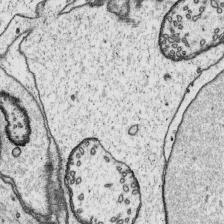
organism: Platynereis dumerilii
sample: Parapodia